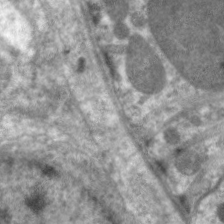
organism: C. elegans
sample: Pharynx